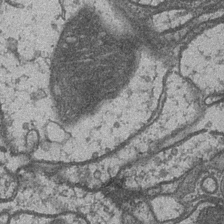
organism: Drosophila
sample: Optic medulla